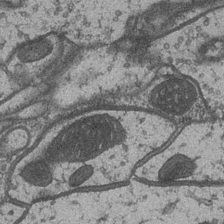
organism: Drosophila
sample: Optic medulla